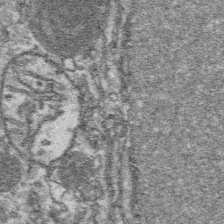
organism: Platynereis dumerilii